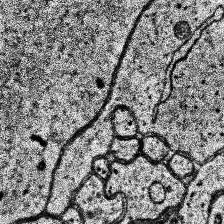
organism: Human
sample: Temporal Lobe